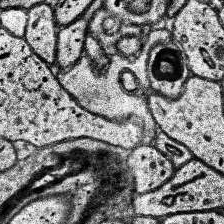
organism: Human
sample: Temporal Lobe